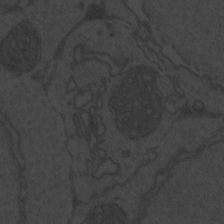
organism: Zebrafish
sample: Macrophage infected with Toxoplasma gondii